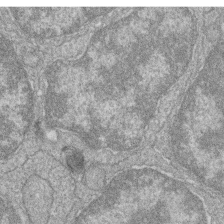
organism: Zebrafish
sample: Cilia; retinal pigment epithelium